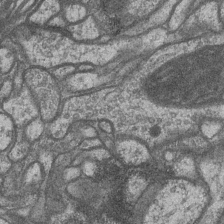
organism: Drosophila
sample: Optic medulla